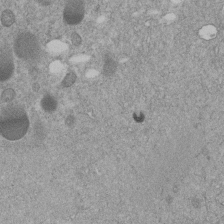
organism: C. elegans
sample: C. elegans embryo early stage